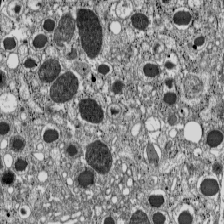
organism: C57BL Mouse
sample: Pancreatic islet